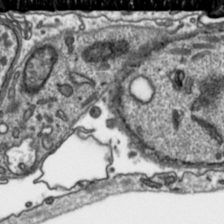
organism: Toxoplasma gondii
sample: Parasites in a vacuole inside a host cell